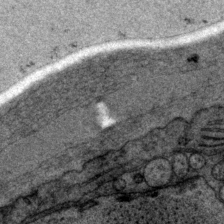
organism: P. pacificus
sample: Pharynx